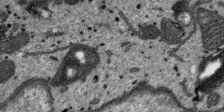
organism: Human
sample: Lung epithelial cells, uninfected (mock) control